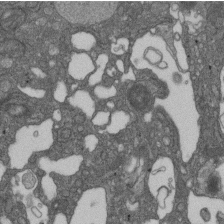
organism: Drosophila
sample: Nephrocyte